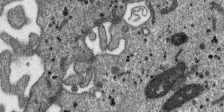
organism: Human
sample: Lung epithelial cells infected with SARS-CoV-2